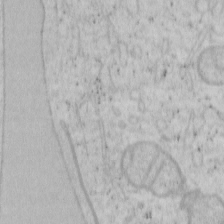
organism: Human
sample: HeLa cells